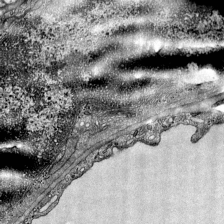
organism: Mouse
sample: Visual Cortex